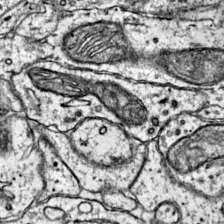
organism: Mouse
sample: Primary visual cortex